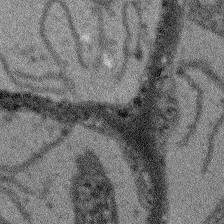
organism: Arabidopsis thaliana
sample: Root tip